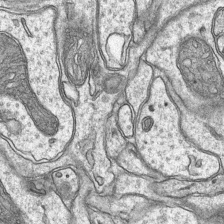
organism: Mouse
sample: CA1 Hippocampus